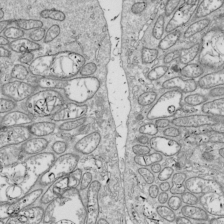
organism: Drosophila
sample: Cell division; meiosis; drosophila spermatocytes